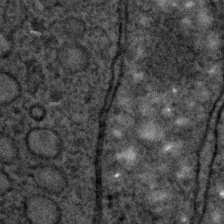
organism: C. elegans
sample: C. elegans embryo